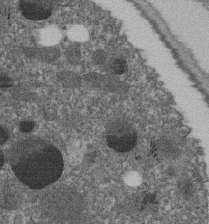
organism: C. elegans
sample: C. elegans embryo early stage